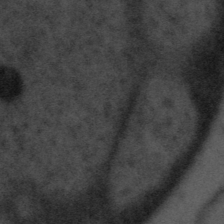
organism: Tuwongella immobilis